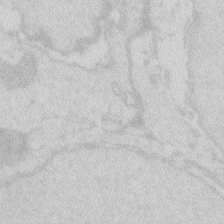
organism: Zebrafish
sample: Macrophage